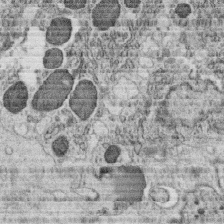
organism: C. elegans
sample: C. elegans oocyte; sperm cells